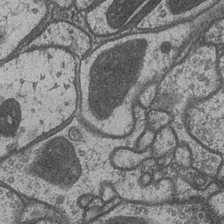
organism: Drosophila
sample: Optic medulla